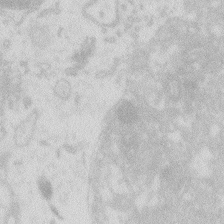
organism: Zebrafish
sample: Macrophage